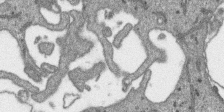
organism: Human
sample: Lung epithelial cells infected with SARS-CoV-2